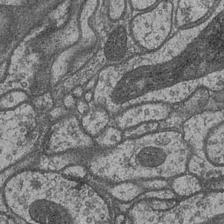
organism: Drosophila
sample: Optic medulla